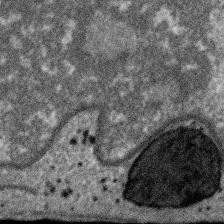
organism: Human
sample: Lung epithelial cells infected with SARS-CoV-2